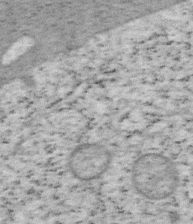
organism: Mouse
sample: OT-I killer T cells with ID8 ovarian cancer cells